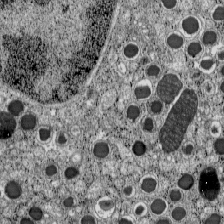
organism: C57BL Mouse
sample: Pancreatic islet